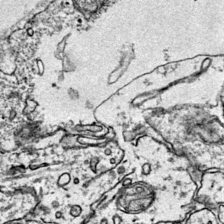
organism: Mouse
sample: Primary visual cortex